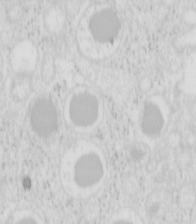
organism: Mouse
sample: Pancreas